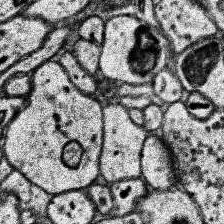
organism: Human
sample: Temporal Lobe